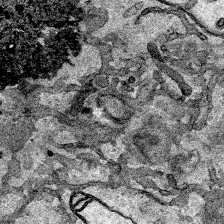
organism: Human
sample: Mitochondria in HCT116 cells